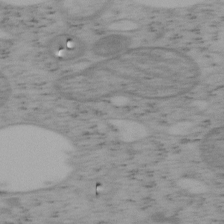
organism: Mouse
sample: OT-I killer T cells with ID8 ovarian cancer cells